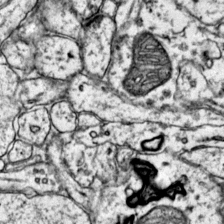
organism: Mouse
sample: Primary visual cortex